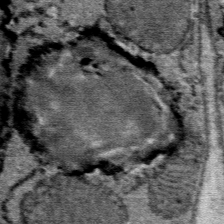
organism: Mouse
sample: Mouse Salivary gland